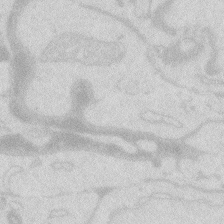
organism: Zebrafish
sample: Macrophage